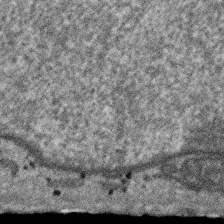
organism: Human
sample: Lung epithelial cells infected with SARS-CoV-2